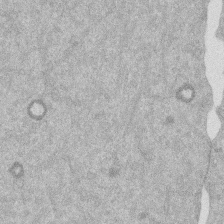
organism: Mouse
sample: Dividing mouse embryo 1 cell stage